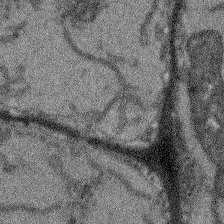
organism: Arabidopsis thaliana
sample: Root tip